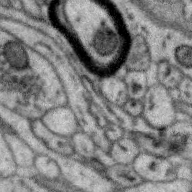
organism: Zebra finch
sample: Brain